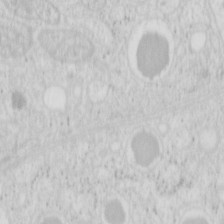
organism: Mouse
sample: Pancreas